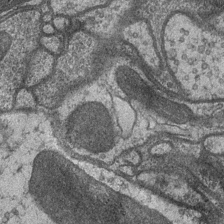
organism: Drosophila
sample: Optic medulla